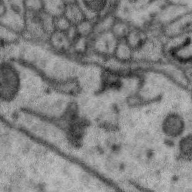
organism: Zebra finch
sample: Brain